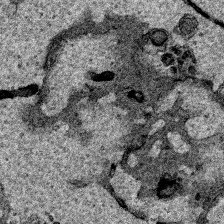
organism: Human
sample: Mitochondria in HCT116 cells